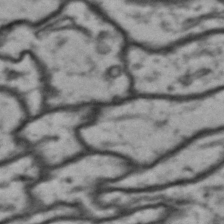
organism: Drosophila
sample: Brain